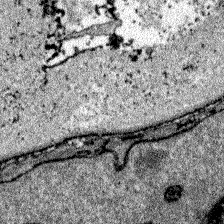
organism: Zebrafish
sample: Larval olfactory bulb